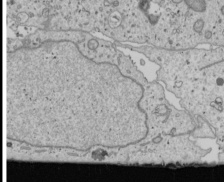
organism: Human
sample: Mitochondria in U2OS cells